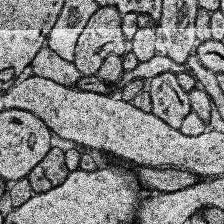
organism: Human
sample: Temporal Lobe